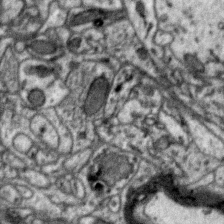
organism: Zebra finch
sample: Brain